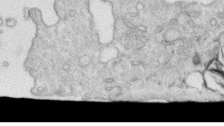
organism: Human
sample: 1205lu cells